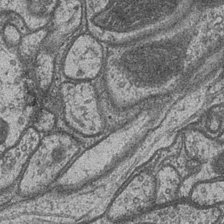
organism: Drosophila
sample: Optic medulla